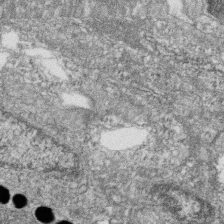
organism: Zebrafish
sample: Cilia; retinal pigment epithelium